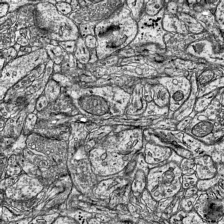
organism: Mouse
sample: Visual Cortex